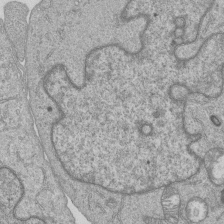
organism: Human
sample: MDA-MB-231 cells